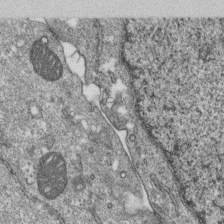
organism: African green monkey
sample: Vero E6 cells infected with SARS-CoV-2